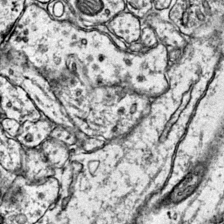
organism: Mouse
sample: Primary visual cortex